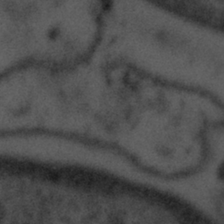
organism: Tuwongella immobilis